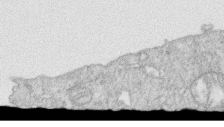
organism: Human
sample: HeLa cell HIV synapse